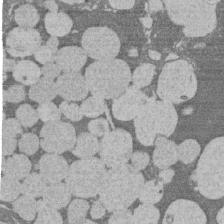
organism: Rat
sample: Salivary granule